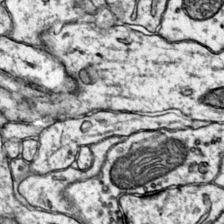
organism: Mouse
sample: Primary visual cortex